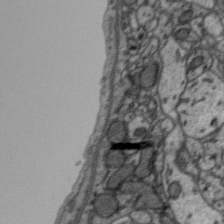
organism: Zebra finch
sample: Brain